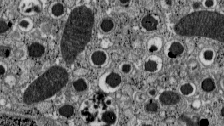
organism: C57BL Mouse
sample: Pancreatic islet